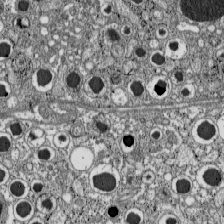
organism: C57BL Mouse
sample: Pancreatic islet